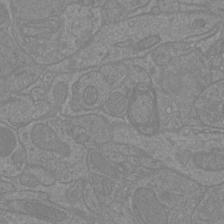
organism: Mouse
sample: Cortical neurons